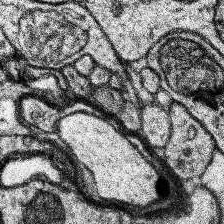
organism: Human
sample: Temporal Lobe